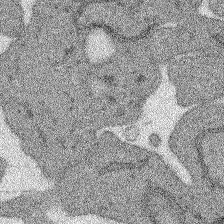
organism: Human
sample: HeLa cells